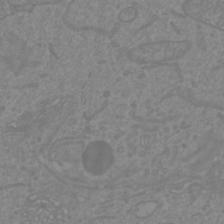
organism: Mouse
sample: Cortical neurons